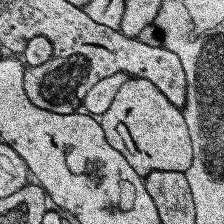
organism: Human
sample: Temporal Lobe